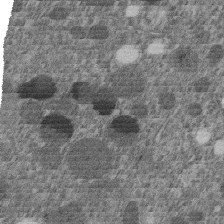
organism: C. elegans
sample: C. elegans embryo early stage